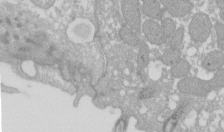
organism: Xenopus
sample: Cilia; centrioles in frog embryo cells